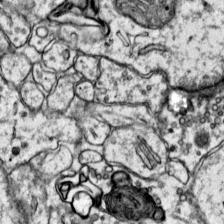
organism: Mouse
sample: Primary visual cortex